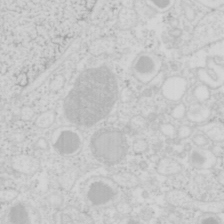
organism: Mouse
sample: Pancreas